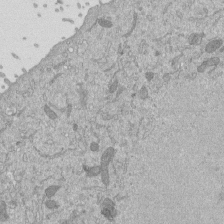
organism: Mouse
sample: ED-1 cell nuclei; centrioles